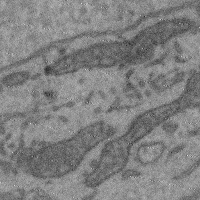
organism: Mouse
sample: Cerebral cortex